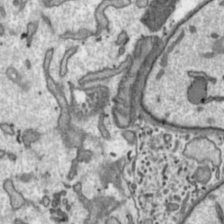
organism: Toxoplasma gondii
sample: Parasites in a vacuole inside a host cell